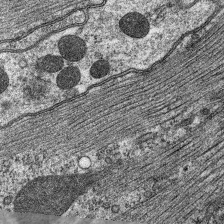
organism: C. elegans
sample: Pharynx